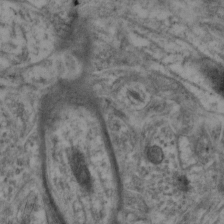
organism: Mouse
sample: Neocortex